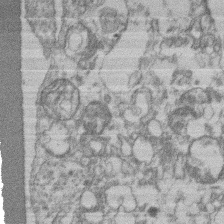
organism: Mouse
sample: T cell stromal cell synapse